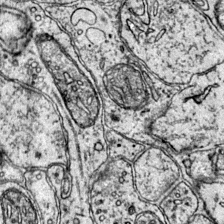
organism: Mouse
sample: Primary visual cortex